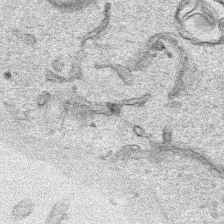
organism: Human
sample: Mitochondria in HCT116 cells